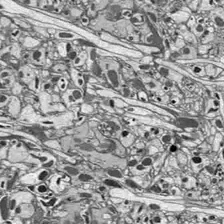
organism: Drosophila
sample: Optic lobe